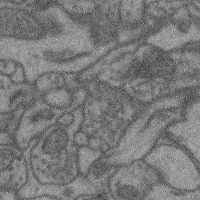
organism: Mouse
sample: Cerebral cortex